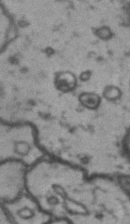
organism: Drosophila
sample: Brain